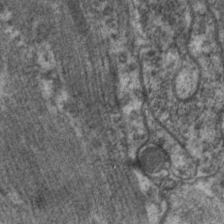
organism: C. elegans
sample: Pharynx